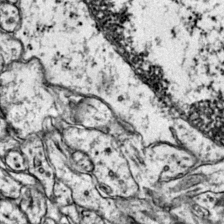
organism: Mouse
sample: Primary visual cortex